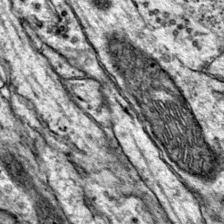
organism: Mouse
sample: Primary visual cortex